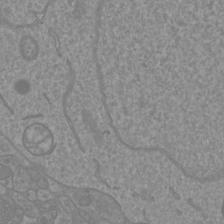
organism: Mouse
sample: Cortical neurons